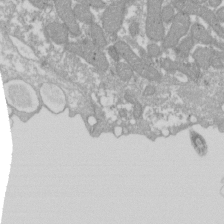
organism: Xenopus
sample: Cilia; centrioles in frog embryo cells